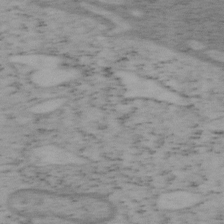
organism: Mouse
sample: OT-I killer T cells with ID8 ovarian cancer cells